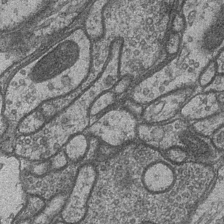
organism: Drosophila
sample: Optic medulla